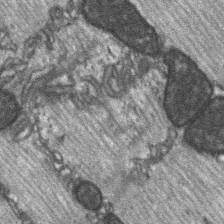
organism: C57BL Mouse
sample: Soleus